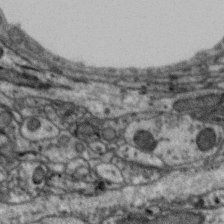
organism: Zebra finch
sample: Brain